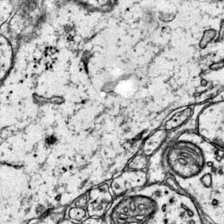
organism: Mouse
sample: Primary visual cortex